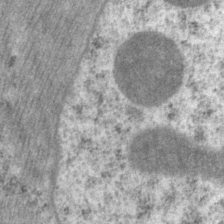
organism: P. pacificus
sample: Pharynx